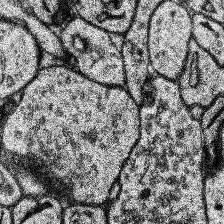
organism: Human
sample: Temporal Lobe